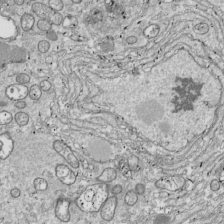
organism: Drosophila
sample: Cell division; meiosis; drosophila spermatocytes